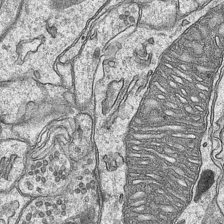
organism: Mouse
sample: CA1 Hippocampus